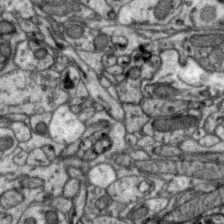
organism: Zebra finch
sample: Brain